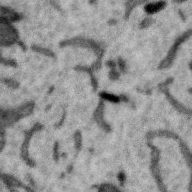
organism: Zebra finch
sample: Brain